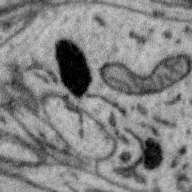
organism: Zebra finch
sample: Brain